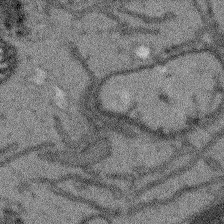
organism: Arabidopsis thaliana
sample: Root tip